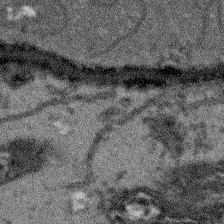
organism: Arabidopsis thaliana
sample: Root tip